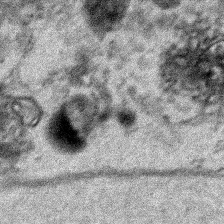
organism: Human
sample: Mitochondria in HCT116 cells